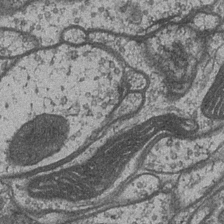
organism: Drosophila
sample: Optic medulla